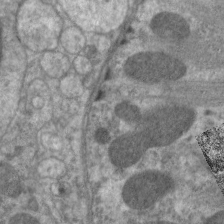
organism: C. elegans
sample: Pharynx